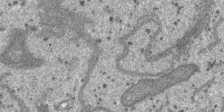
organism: Human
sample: Lung epithelial cells infected with SARS-CoV-2